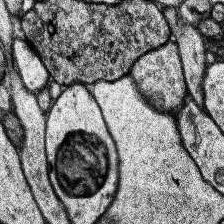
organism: Human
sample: Temporal Lobe